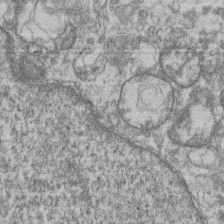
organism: Mouse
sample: T cell stromal cell synapse